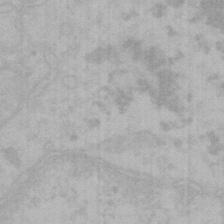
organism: Mouse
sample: Choroid plexus